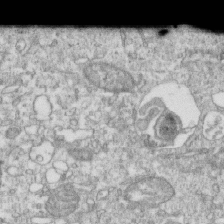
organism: Mouse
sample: Activated OT-1 CD8+ T cells